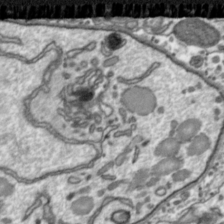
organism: Toxoplasma gondii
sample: Parasites in a vacuole inside a host cell